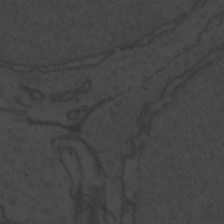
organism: Zebrafish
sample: Macrophage infected with Toxoplasma gondii